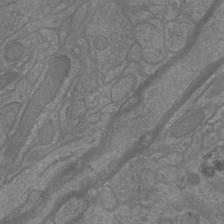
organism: Mouse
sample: Cortical neurons